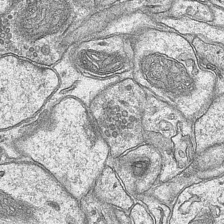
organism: Mouse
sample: CA1 Hippocampus